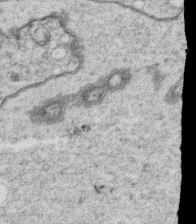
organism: C. elegans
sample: C. elegans oocyte; sperm cells